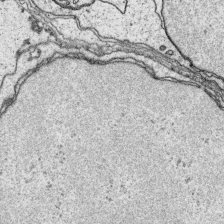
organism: Platynereis dumerilii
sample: Parapodia